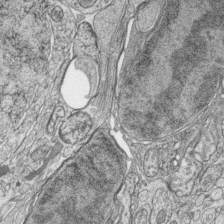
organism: Zebrafish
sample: synaptic ribbons in rod cells and cone cells